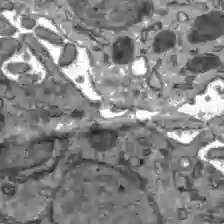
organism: C57BL Mouse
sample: Liver